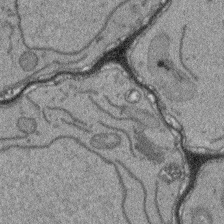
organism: Arabidopsis thaliana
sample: Root tip